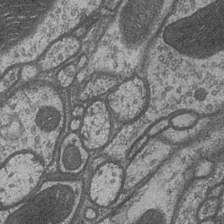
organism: Drosophila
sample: Optic medulla